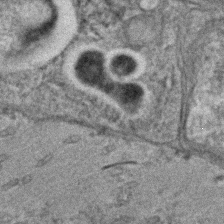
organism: C. elegans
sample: C. elegans embryo